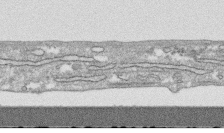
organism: Human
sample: CRL-1474